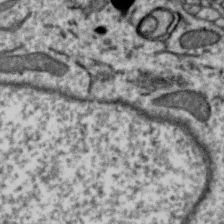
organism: Zebra finch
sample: Brain